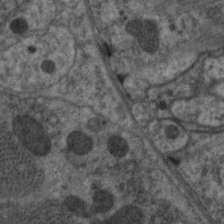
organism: C. elegans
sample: Pharynx